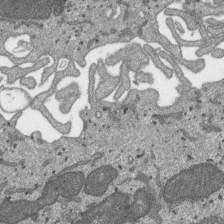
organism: Human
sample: Lung epithelial cells infected with SARS-CoV-2